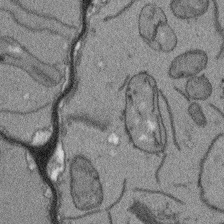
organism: Arabidopsis thaliana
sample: Root tip